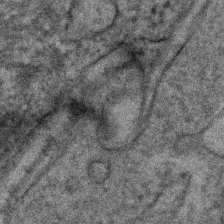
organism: Human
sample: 1205lu cells